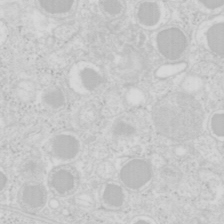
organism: Mouse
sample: Pancreas